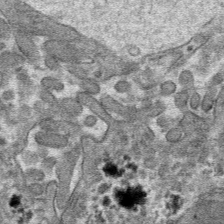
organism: Mouse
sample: Mouse hepatocytes